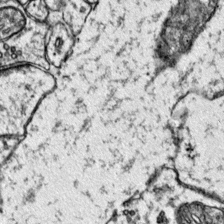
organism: Mouse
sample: Primary visual cortex